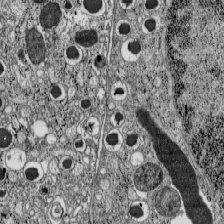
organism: C57BL Mouse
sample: Pancreatic islet